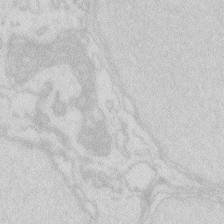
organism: Zebrafish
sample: Macrophage